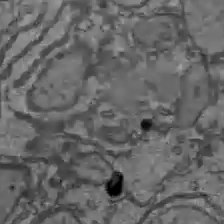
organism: C57BL Mouse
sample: Liver